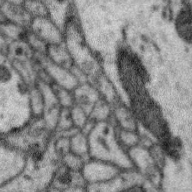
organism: Zebra finch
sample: Brain